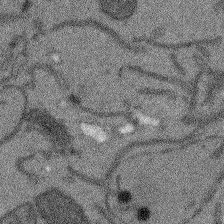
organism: Arabidopsis thaliana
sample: Root tip